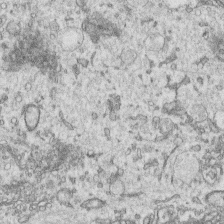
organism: Human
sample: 1205lu cells